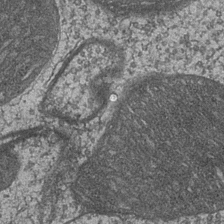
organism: Drosophila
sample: Optic medulla